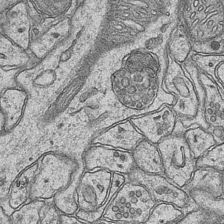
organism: Mouse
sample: CA1 Hippocampus